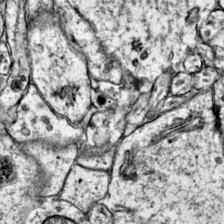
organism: Mouse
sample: Primary visual cortex